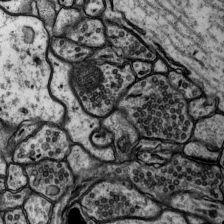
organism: Rat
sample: Hippocampus